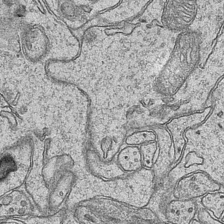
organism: Mouse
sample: CA1 Hippocampus